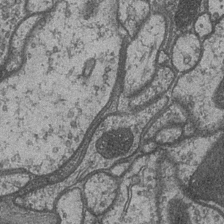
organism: Drosophila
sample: Optic medulla